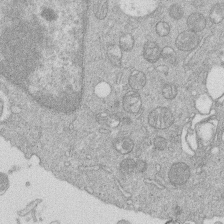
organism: Human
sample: Macrophage cells